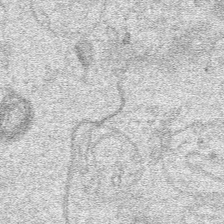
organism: Human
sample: Mitochondria in HCT116 cells